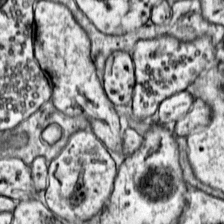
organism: Mouse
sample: Primary visual cortex